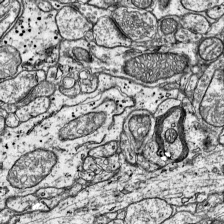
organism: Mouse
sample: Visual Cortex